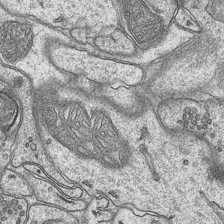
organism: Mouse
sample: CA1 Hippocampus